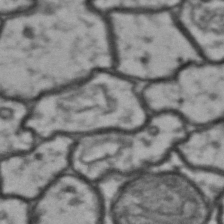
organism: Drosophila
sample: Brain